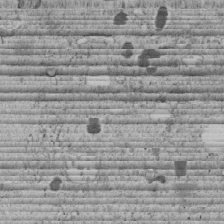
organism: C. elegans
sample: C. elegans embryo early stage